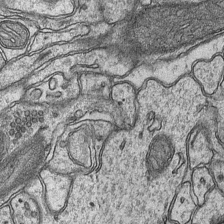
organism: Mouse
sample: CA1 Hippocampus